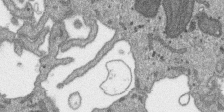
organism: Human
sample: Lung epithelial cells infected with SARS-CoV-2